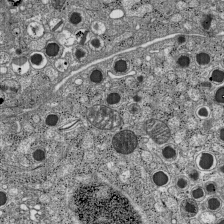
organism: C57BL Mouse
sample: Pancreatic islet